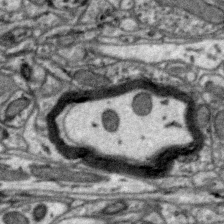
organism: Zebra finch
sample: Brain